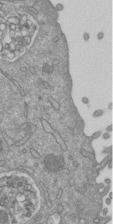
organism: Mouse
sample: ED-1 cell nuclei; centrioles